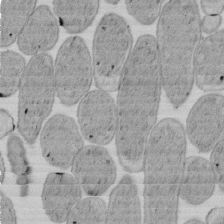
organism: E. coli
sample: Bacterial nucleoid